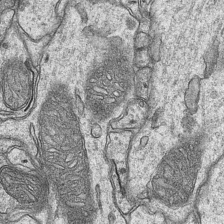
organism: Mouse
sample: CA1 Hippocampus